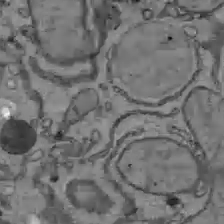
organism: C57BL Mouse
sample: Liver